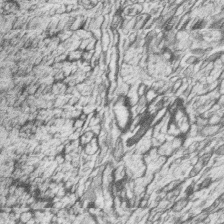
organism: Zebrafish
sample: synaptic ribbons in rod cells and cone cells